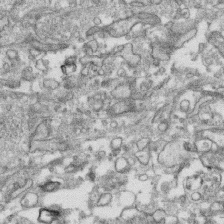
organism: Human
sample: CRL-1474